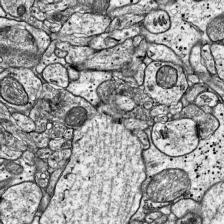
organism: Mouse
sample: Visual Cortex